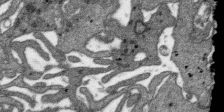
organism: Human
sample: Lung epithelial cells, uninfected (mock) control